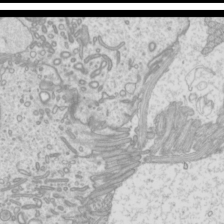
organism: Mouse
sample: Cilia; mouse epididymis